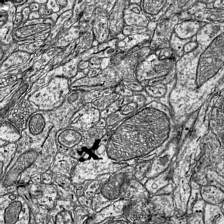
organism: Mouse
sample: Visual Cortex